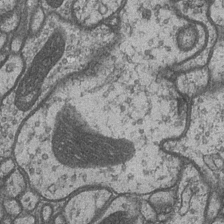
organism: Drosophila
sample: Optic medulla